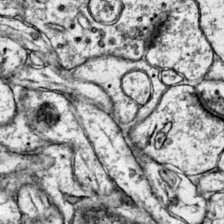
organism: Mouse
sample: Primary visual cortex